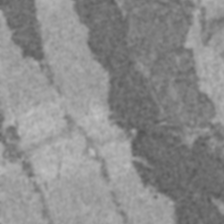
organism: C57BL Mouse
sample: Heart